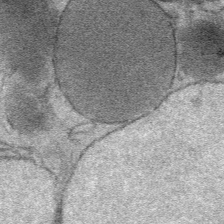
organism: Mouse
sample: Mouse Salivary gland